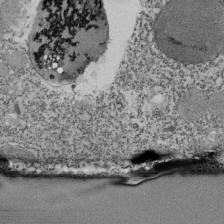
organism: Tetrahymena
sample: Cilia in tetrahymena